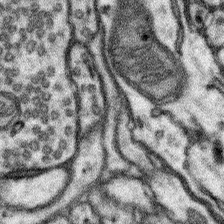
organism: Mouse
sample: Somatosensory cortex neuropil